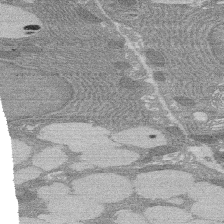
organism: Rat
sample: Salivary granule